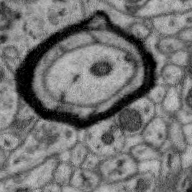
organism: Zebra finch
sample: Brain